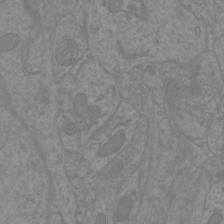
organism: Mouse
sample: Cortical neurons